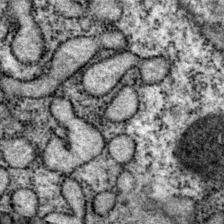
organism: P. pacificus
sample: Pharynx